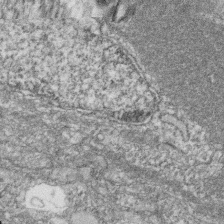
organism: Zebrafish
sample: Cilia; retinal pigment epithelium